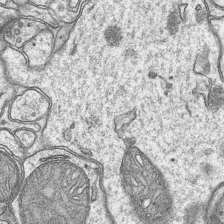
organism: Mouse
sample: CA1 Hippocampus